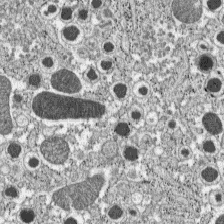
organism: C57BL Mouse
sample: Pancreatic islet